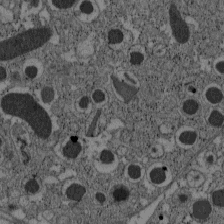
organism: C57BL Mouse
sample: Pancreatic islet